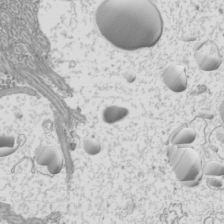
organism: Mouse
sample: Cilia; mouse epididymis